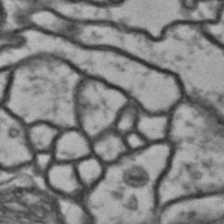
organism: Drosophila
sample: Brain